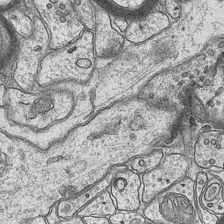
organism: Mouse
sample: CA1 Hippocampus